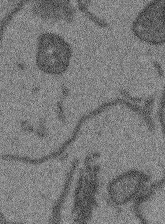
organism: Arabidopsis thaliana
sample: Root tip